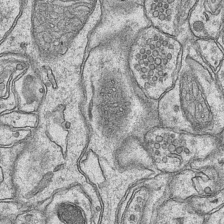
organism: Mouse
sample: CA1 Hippocampus